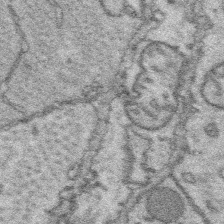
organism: Platynereis dumerilii